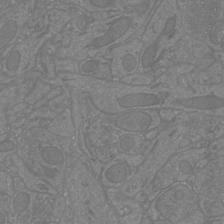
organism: Mouse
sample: Cortical neurons